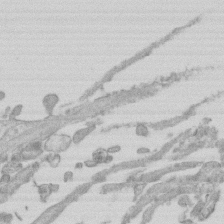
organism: Mouse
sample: Centriole in ependymal cells